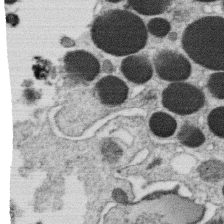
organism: C. elegans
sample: C. elegans oocyte; sperm cells